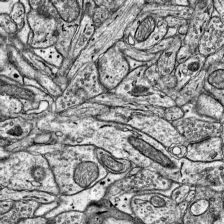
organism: Mouse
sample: Visual Cortex